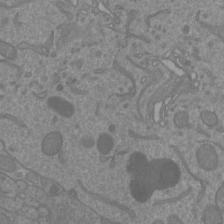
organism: Mouse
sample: Cortical neurons